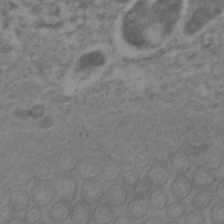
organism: C. elegans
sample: C. elegans embryo